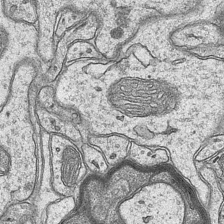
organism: Mouse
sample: CA1 Hippocampus